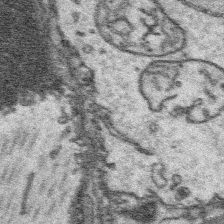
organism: Platynereis dumerilii